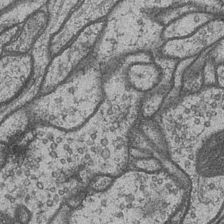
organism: Drosophila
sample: Optic medulla